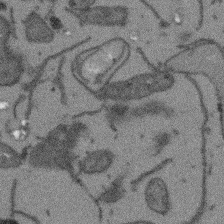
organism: Arabidopsis thaliana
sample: Root tip